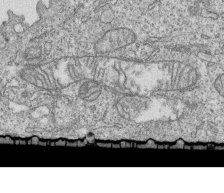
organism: Human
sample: HeLa cell HIV synapse